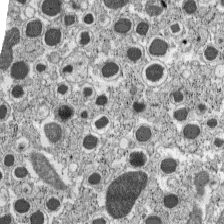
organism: C57BL Mouse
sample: Pancreatic islet